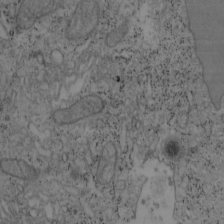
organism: Mouse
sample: OT-I killer T cells with ID8 ovarian cancer cells